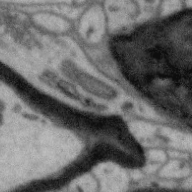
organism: Zebra finch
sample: Brain